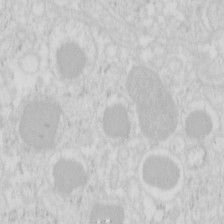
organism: Mouse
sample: Pancreas